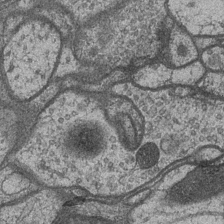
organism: Drosophila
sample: Optic medulla